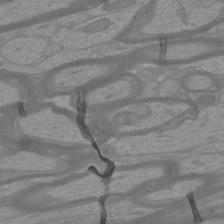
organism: Mouse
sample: Cortical neurons